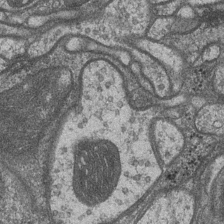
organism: Drosophila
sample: Optic medulla